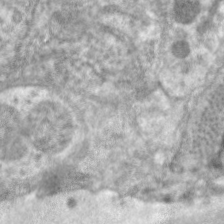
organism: C. elegans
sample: Pharynx